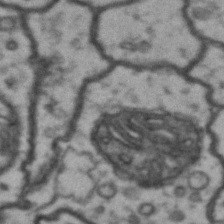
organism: Drosophila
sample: Brain